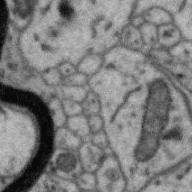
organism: Zebra finch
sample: Brain